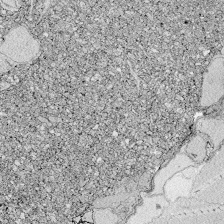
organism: Zebrafish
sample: Whole-Brain